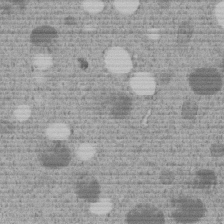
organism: C. elegans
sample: C. elegans embryo early stage